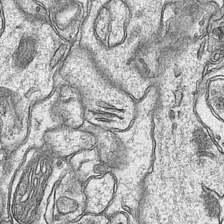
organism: Mouse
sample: CA1 Hippocampus